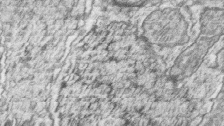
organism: Zebrafish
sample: synaptic ribbons in rod cells and cone cells